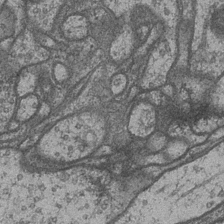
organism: Drosophila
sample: Optic medulla